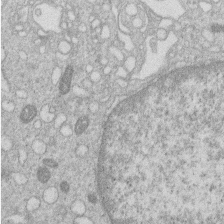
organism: Human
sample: Macrophage cells